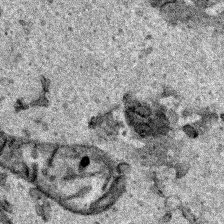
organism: Human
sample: Mitochondria in HCT116 cells